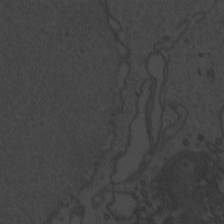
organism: Zebrafish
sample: Macrophage infected with Toxoplasma gondii